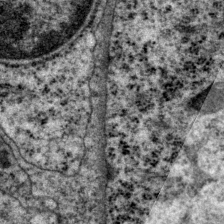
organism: P. pacificus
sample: Pharynx